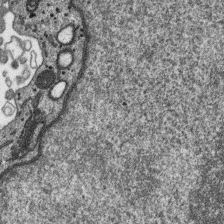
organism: Human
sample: Lung epithelial cells infected with SARS-CoV-2